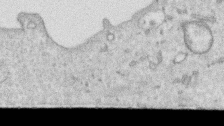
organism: Human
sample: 1205lu cells